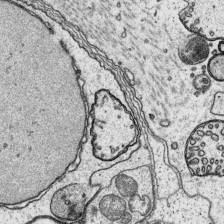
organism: Platynereis dumerilii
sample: Parapodia